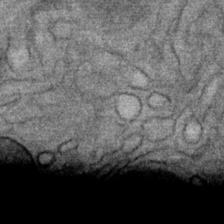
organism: Mouse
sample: Mouse Salivary gland